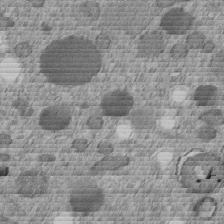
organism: C. elegans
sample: C. elegans embryo early stage